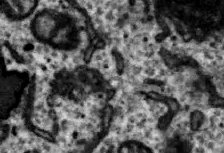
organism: Human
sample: HeLa cells